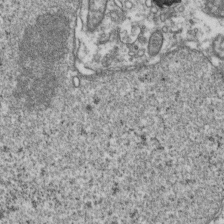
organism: Human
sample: Activated Jurkat CD4+ T cells